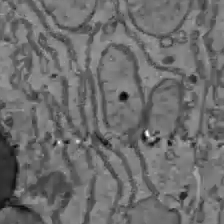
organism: C57BL Mouse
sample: Liver